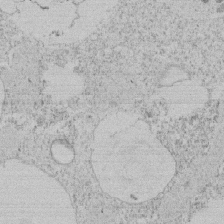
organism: Tetrahymena